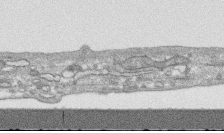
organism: Human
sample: CRL-1474